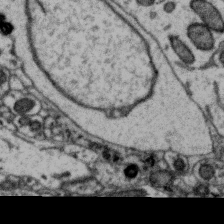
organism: Zebra finch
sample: Brain